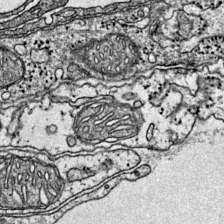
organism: Mouse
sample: Primary visual cortex